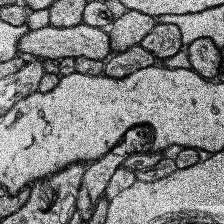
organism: Human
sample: Temporal Lobe